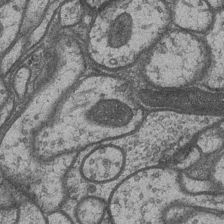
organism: Drosophila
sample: Optic medulla